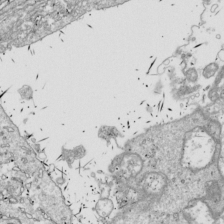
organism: Drosophila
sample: Cell division; meiosis; drosophila spermatocytes